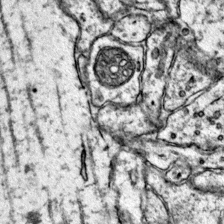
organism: Mouse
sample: Primary visual cortex